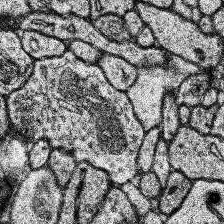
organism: Human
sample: Temporal Lobe